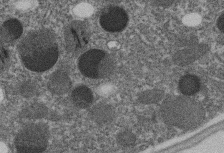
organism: C. elegans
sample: C. elegans embryo early stage